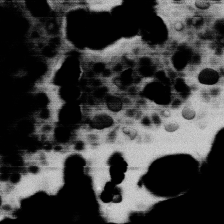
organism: Human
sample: HIV infected U937 cells